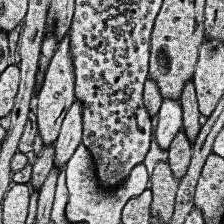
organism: Human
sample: Temporal Lobe